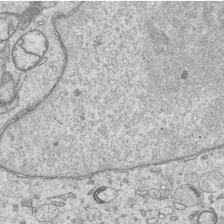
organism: Human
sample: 1205lu cells